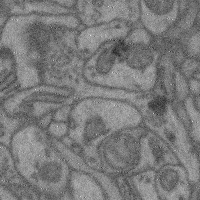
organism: Mouse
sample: Cerebral cortex